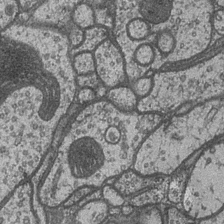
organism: Drosophila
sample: Optic medulla